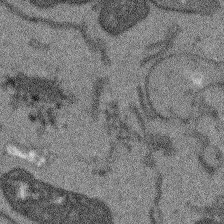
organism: Arabidopsis thaliana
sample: Root tip